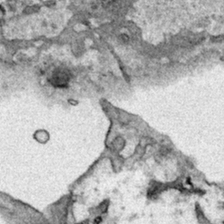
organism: Human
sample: Mitochondria in HCT116 cells